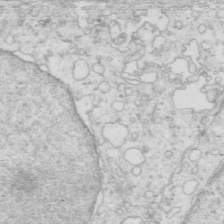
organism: Mouse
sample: Multiciliated cells